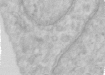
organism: Human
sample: Centriole in RPE cells